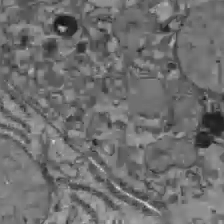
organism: C57BL Mouse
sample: Liver